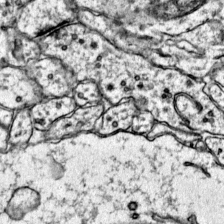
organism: Mouse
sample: Primary visual cortex